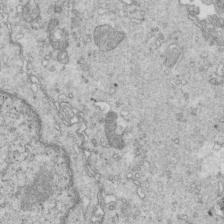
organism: Mouse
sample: Multiciliated cells